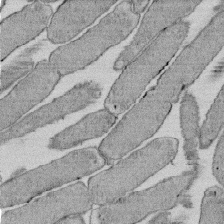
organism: E. coli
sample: Bacterial nucleoid